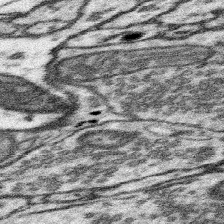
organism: Mouse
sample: Somatosensory cortex neuropil